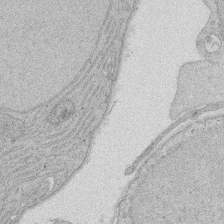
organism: Rat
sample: Salivary granule